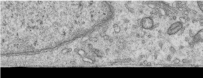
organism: Human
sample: Centriole in RPE cells